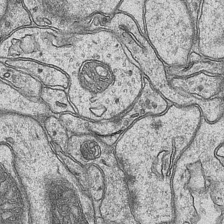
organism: Mouse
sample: CA1 Hippocampus